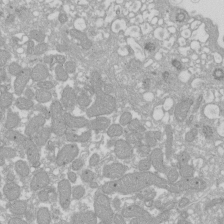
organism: Xenopus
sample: Cilia; centrioles in frog embryo cells